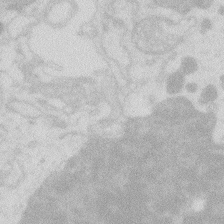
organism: Zebrafish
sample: Macrophage